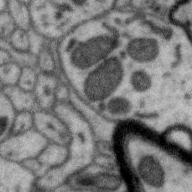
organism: Zebra finch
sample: Brain